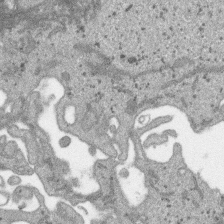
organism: Human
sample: Lung epithelial cells infected with SARS-CoV-2